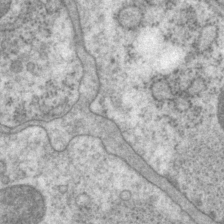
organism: P. pacificus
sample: Pharynx